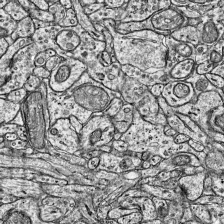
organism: Mouse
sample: Visual Cortex